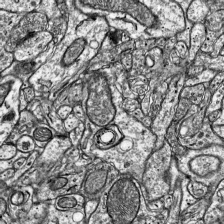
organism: Mouse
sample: Visual Cortex